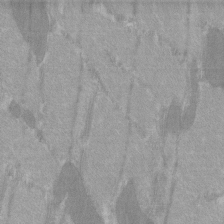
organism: C57BL Mouse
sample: Tibialis anterior muscle cell